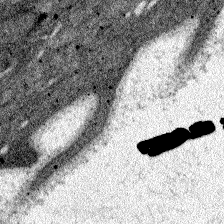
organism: Zebrafish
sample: Larval olfactory bulb